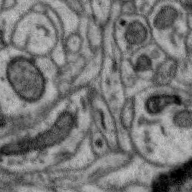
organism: Zebra finch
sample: Brain